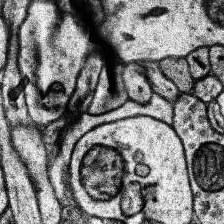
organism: Human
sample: Temporal Lobe